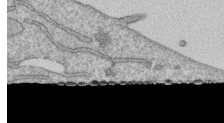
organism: Human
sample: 1205lu cells